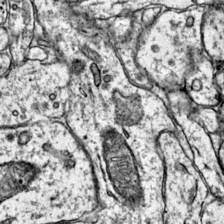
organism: Mouse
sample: Primary visual cortex